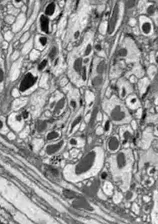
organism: Drosophila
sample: Optic lobe